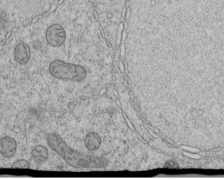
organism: C. elegans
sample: C. elegans embryo early stage